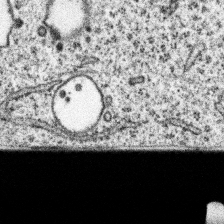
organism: Human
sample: HeLa cells